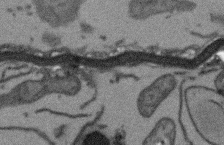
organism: Arabidopsis thaliana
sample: Root tip